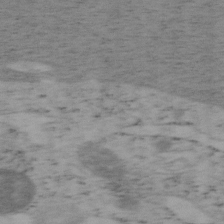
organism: Mouse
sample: OT-I killer T cells with ID8 ovarian cancer cells